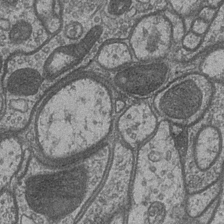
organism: Drosophila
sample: Optic medulla